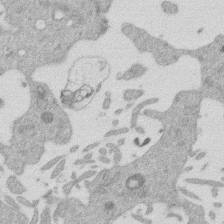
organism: Mouse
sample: Dividing mouse embryo 1 cell stage